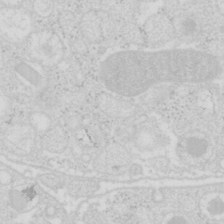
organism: Mouse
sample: Pancreas